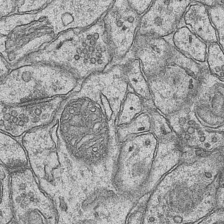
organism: Mouse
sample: CA1 Hippocampus